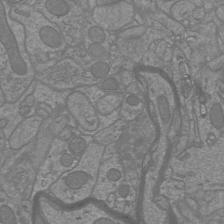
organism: Mouse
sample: Cortical neurons